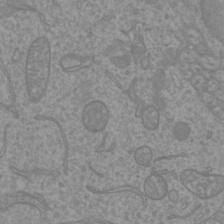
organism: Mouse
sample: Cortical neurons